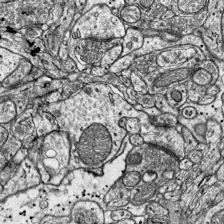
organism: Mouse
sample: Visual Cortex